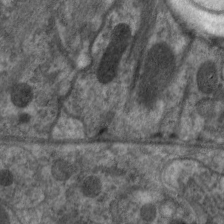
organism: C. elegans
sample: Pharynx